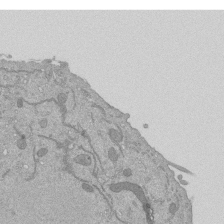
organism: Mouse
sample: ED-1 cell nuclei; centrioles